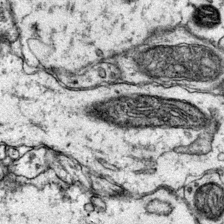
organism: Mouse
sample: Primary visual cortex